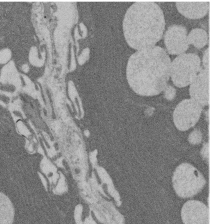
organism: Rat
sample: Salivary granule